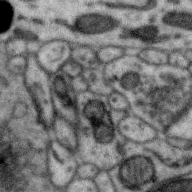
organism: Zebra finch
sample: Brain